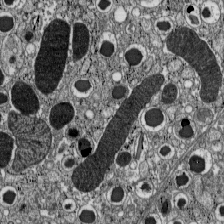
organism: C57BL Mouse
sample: Pancreatic islet